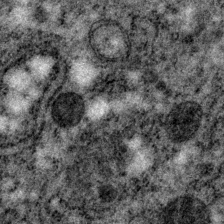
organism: P. pacificus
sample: Pharynx